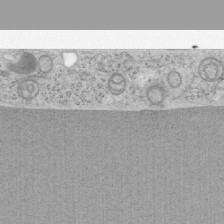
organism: Human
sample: HeLa cells